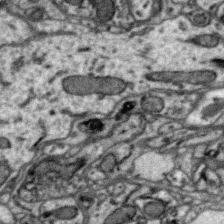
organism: Zebra finch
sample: Brain